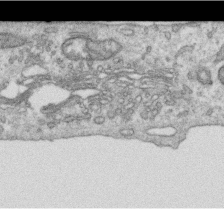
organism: Human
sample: Centriole in RPE cells